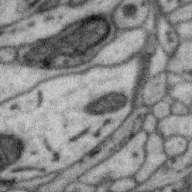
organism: Zebra finch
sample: Brain